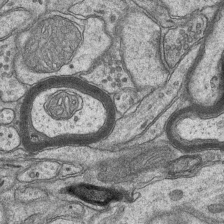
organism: Mouse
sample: CA1 Hippocampus